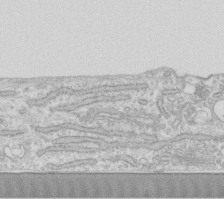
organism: Human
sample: Fibroblast cells